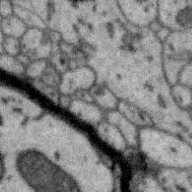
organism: Zebra finch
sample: Brain